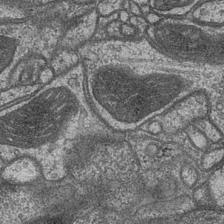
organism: Drosophila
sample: Optic medulla